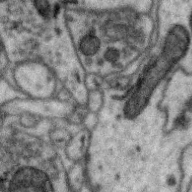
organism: Zebra finch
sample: Brain